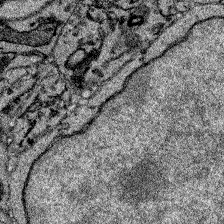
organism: Zebrafish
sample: Larval olfactory bulb